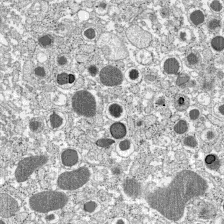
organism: C57BL Mouse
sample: Pancreatic islet